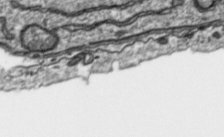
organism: Toxoplasma gondii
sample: Parasites in a vacuole inside a host cell